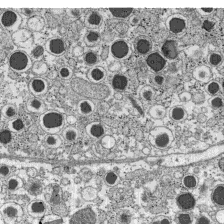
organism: C57BL Mouse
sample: Pancreatic islet